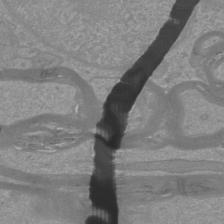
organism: Mouse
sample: Cortical neurons